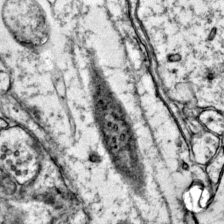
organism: Mouse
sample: Primary visual cortex